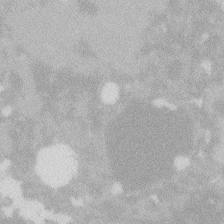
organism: Zebrafish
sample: Macrophage